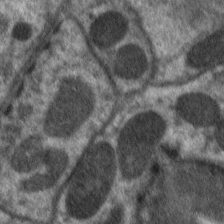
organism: C. elegans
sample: Pharynx